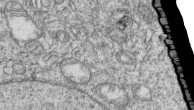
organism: Human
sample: HeLa cell HIV synapse